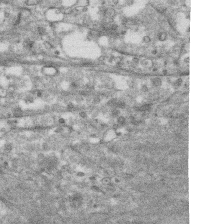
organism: Human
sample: CRL-1474